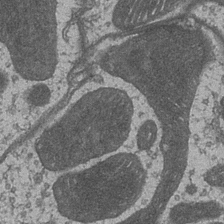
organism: Drosophila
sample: Optic medulla